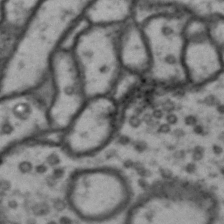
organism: Drosophila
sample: Brain